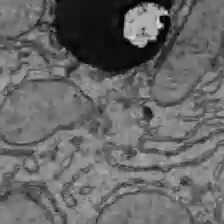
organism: C57BL Mouse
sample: Liver